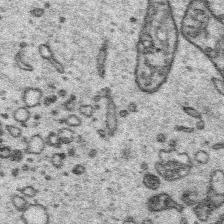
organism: Platynereis dumerilii